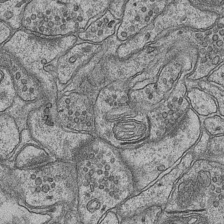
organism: Mouse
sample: CA1 Hippocampus